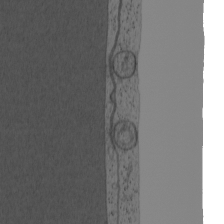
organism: African green monkey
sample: COS-7 cells